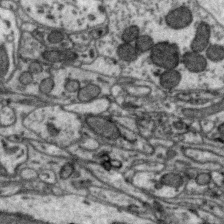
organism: Zebra finch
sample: Brain